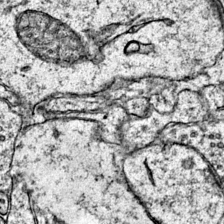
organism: Mouse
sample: Primary visual cortex